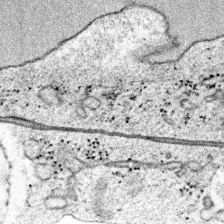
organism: Human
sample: HeLa cells